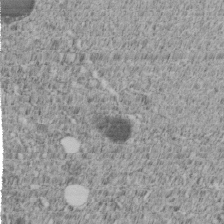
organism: C. elegans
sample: C. elegans embryo early stage